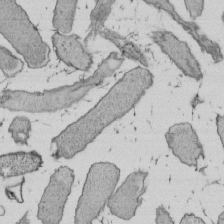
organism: E. coli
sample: Bacterial nucleoid